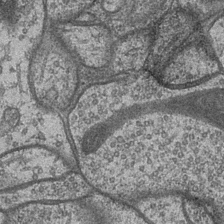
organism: Drosophila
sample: Optic medulla